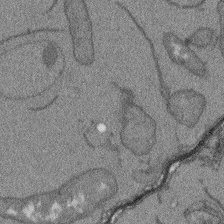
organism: Arabidopsis thaliana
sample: Root tip